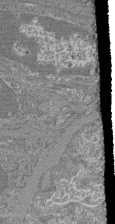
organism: Mouse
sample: Glomerulus